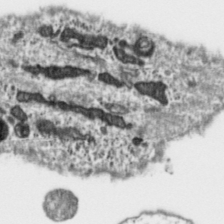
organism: Toxoplasma gondii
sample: Parasites in a vacuole inside a host cell